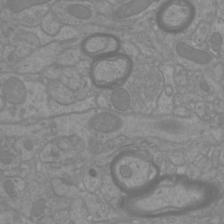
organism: Mouse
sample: Cortical neurons